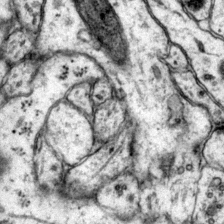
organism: Mouse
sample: Primary visual cortex